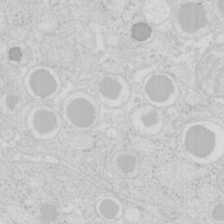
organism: Mouse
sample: Pancreas